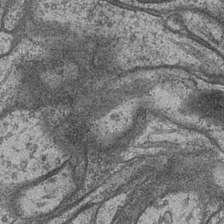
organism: Drosophila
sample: Optic medulla